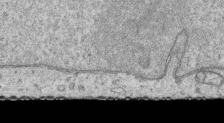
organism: Human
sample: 1205lu cells